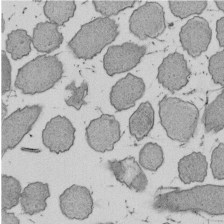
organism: E. coli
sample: Bacterial nucleoid